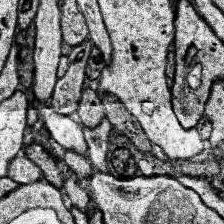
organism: Human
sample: Temporal Lobe